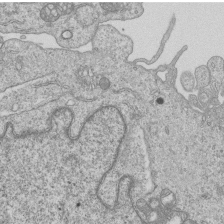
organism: Human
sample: MDA-MB-231 cells